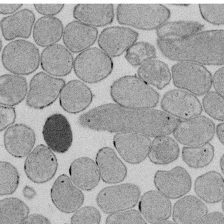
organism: E. coli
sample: Bacterial nucleoid